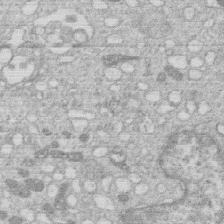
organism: Human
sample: Macrophage cells